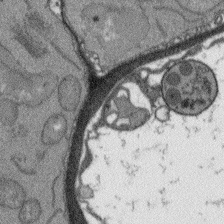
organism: Arabidopsis thaliana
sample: Root tip